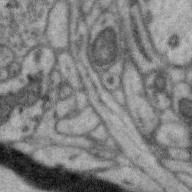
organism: Zebra finch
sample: Brain